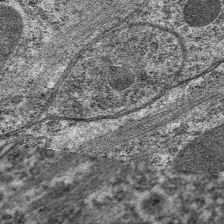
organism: C. elegans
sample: Pharynx